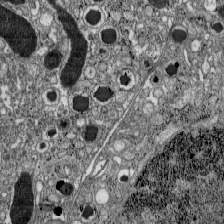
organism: C57BL Mouse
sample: Pancreatic islet